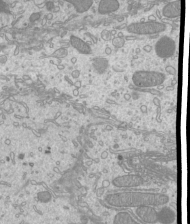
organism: Mouse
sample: Cilia; mouse epididymis